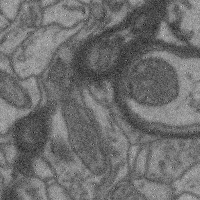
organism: Mouse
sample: Cerebral cortex